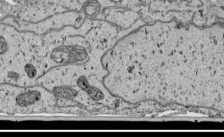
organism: Human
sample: Mitochondria in HCT116 cells